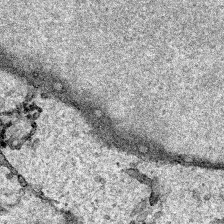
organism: Human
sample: Mitochondria in HCT116 cells